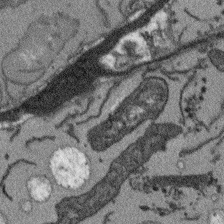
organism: Arabidopsis thaliana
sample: Root tip